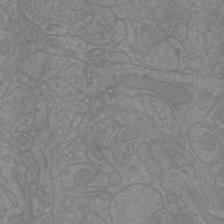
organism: Mouse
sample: Cortical neurons